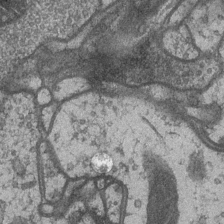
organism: Drosophila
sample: Optic medulla